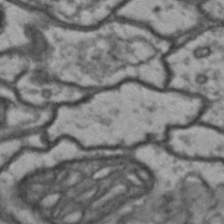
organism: Drosophila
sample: Brain